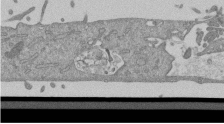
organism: Mouse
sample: ED-1 cell nuclei; centrioles